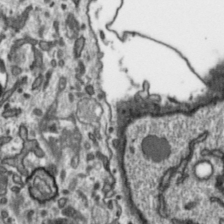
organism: Toxoplasma gondii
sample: Parasites in a vacuole inside a host cell